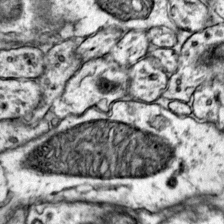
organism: Mouse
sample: Primary visual cortex